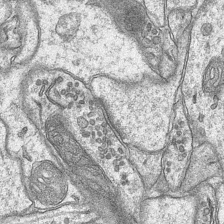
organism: Mouse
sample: CA1 Hippocampus